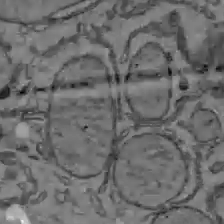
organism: C57BL Mouse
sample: Liver